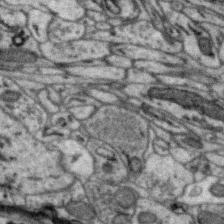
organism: Zebra finch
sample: Brain